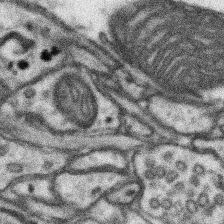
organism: Mouse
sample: Somatosensory cortex neuropil